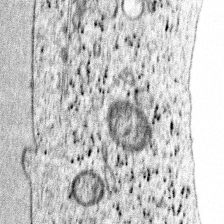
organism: Human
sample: HeLa cells